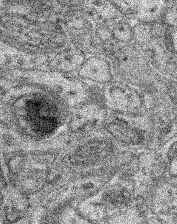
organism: Mouse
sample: Retina